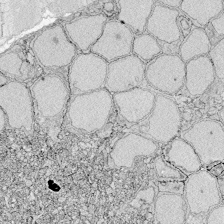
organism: Zebrafish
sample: Whole-Brain